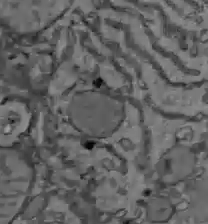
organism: C57BL Mouse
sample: Liver